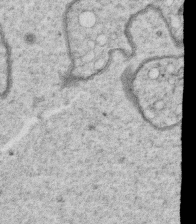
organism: C. elegans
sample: C. elegans oocyte; sperm cells